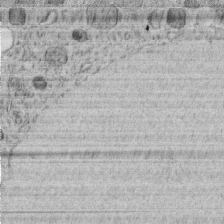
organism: C. elegans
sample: C. elegans embryo early stage